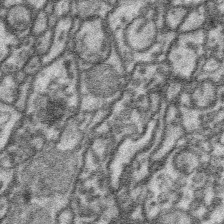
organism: Platynereis dumerilii